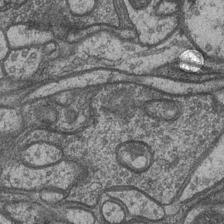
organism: Drosophila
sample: Optic medulla